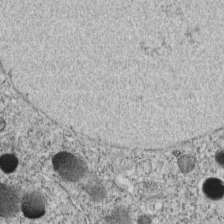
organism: C. elegans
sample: C. elegans embryo early stage